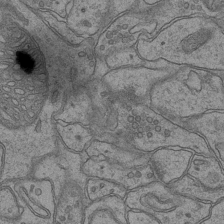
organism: Mouse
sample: CA1 Hippocampus